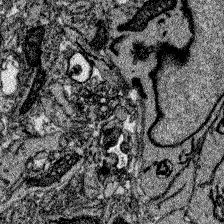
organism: Zebrafish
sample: Larval olfactory bulb